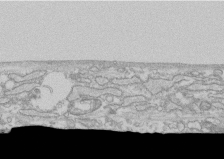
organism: Human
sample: CRL-1474